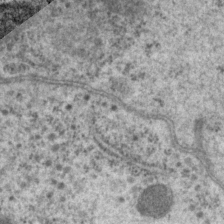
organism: P. pacificus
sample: Pharynx